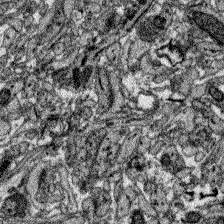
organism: Zebrafish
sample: Larval olfactory bulb